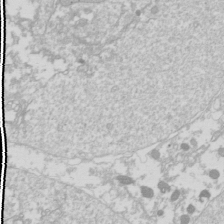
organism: Drosophila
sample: Cell division; meiosis; drosophila spermatocytes